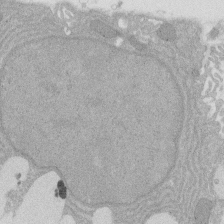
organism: Rat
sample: Salivary granule